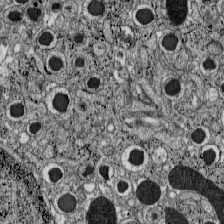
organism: C57BL Mouse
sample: Pancreatic islet